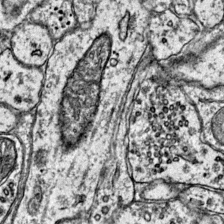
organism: Mouse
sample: Primary visual cortex